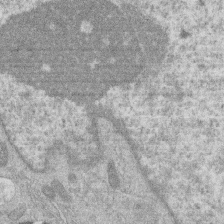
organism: Human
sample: Macrophage cells